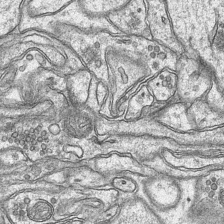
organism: Mouse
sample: CA1 Hippocampus